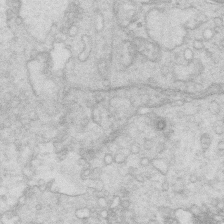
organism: Mouse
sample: Multiciliated cells